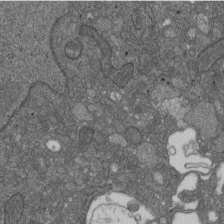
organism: Drosophila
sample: Nephrocyte